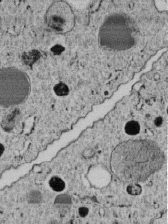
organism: C. elegans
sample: C. elegans embryo early stage